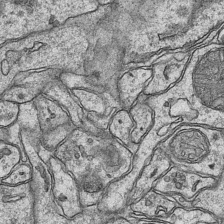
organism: Mouse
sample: CA1 Hippocampus